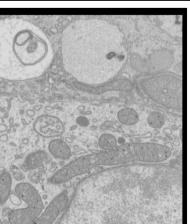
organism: Mouse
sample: Cilia; mouse epididymis